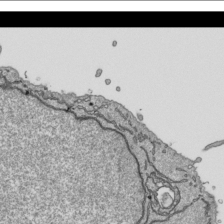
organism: Human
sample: Mitochondria in HCT116 cells